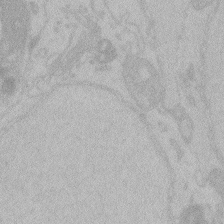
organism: Zebrafish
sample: Macrophage infected with Toxoplasma gondii